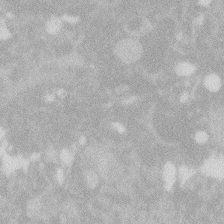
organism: Zebrafish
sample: Macrophage